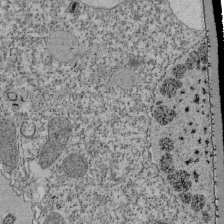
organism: Tetrahymena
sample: Cilia in tetrahymena